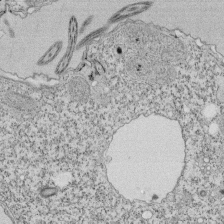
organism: Tetrahymena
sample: Cilia in tetrahymena